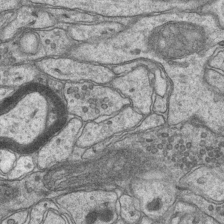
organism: Mouse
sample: CA1 Hippocampus